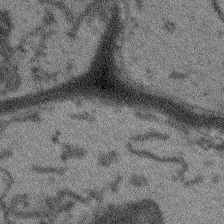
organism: Arabidopsis thaliana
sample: Root tip